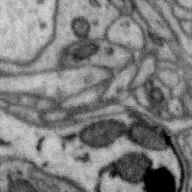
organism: Zebra finch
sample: Brain